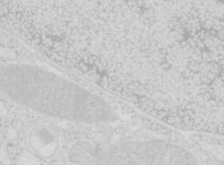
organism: Mouse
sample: Pancreas